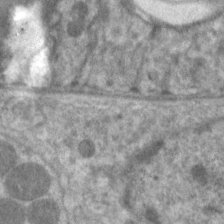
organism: C. elegans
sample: Pharynx